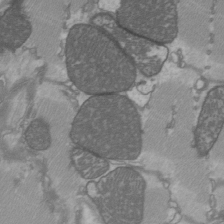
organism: C57BL Mouse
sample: Heart